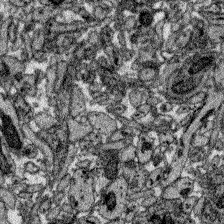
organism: Zebrafish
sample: Larval olfactory bulb